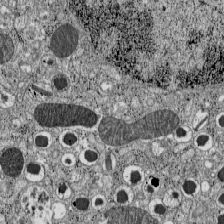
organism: C57BL Mouse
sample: Pancreatic islet